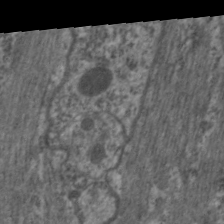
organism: C. elegans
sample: Pharynx